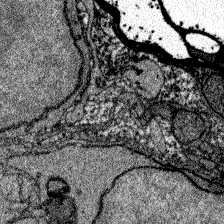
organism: Zebrafish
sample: Larval olfactory bulb